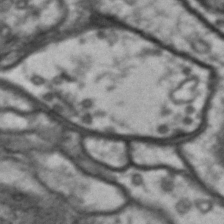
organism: Drosophila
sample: Brain